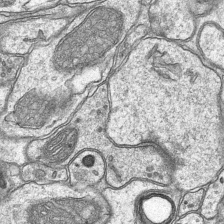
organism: Mouse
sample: CA1 Hippocampus